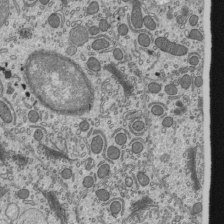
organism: Mouse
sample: Mouse epididymis efferent ductule cilia